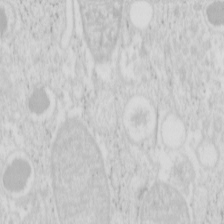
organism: Mouse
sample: Pancreas